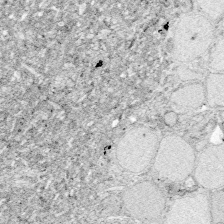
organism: Zebrafish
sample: Whole-Brain